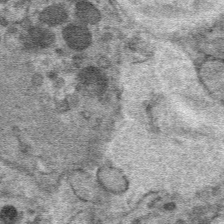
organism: Mouse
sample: Mouse hepatocytes